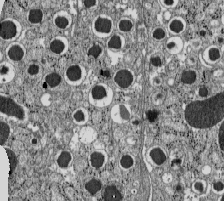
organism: C57BL Mouse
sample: Pancreatic islet